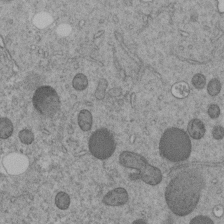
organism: C. elegans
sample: C. elegans embryo early stage